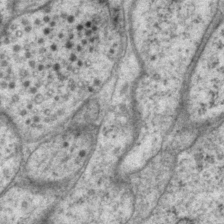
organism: P. pacificus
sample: Pharynx